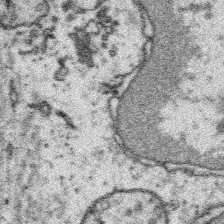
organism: Platynereis dumerilii